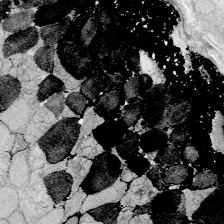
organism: Zebrafish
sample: Whole-Brain